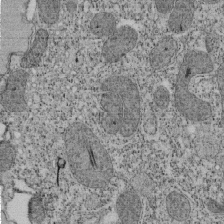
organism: Tetrahymena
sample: Cilia in tetrahymena